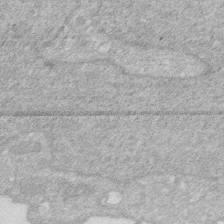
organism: Human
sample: HIV infected U937 cells